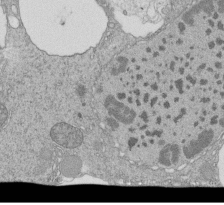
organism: Tetrahymena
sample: Cilia in tetrahymena